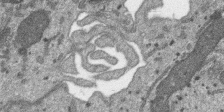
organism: Human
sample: Lung epithelial cells infected with SARS-CoV-2